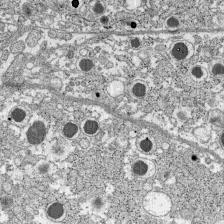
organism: C57BL Mouse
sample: Pancreatic islet